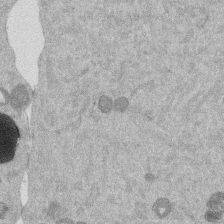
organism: Mouse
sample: Dividing mouse embryo 1 cell stage